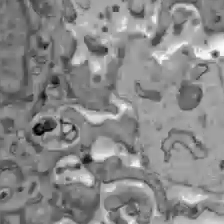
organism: C57BL Mouse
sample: Liver